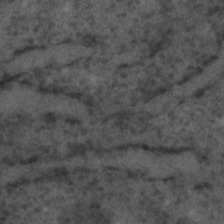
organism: C. elegans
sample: C. elegans embryo